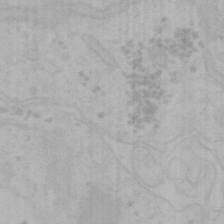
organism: Mouse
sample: Choroid plexus